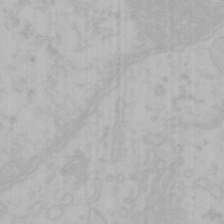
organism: Mouse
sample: Choroid plexus